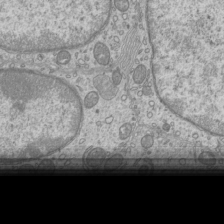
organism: Mouse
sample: Cilia; mouse epididymis